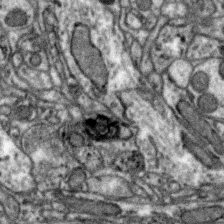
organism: Zebra finch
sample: Brain